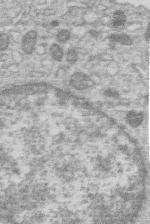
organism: Human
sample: Macrophage cells